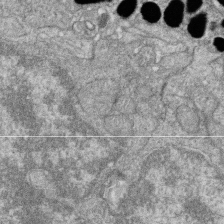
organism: Zebrafish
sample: Cilia; retinal pigment epithelium